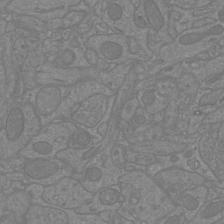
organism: Mouse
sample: Cortical neurons